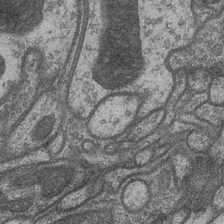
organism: Drosophila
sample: Optic medulla